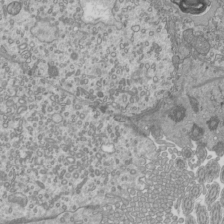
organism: Mouse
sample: Cilia; mouse epididymis